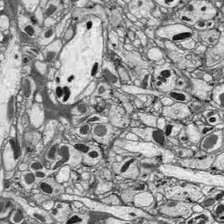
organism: Drosophila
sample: Optic lobe